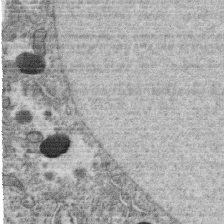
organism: C. elegans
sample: C. elegans oocyte; sperm cells